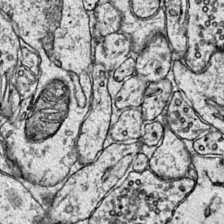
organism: Mouse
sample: Primary visual cortex